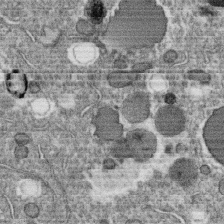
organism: C. elegans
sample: C. elegans oocyte; sperm cells